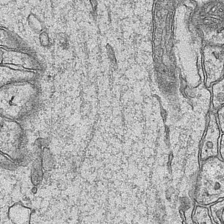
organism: Mouse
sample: CA1 Hippocampus